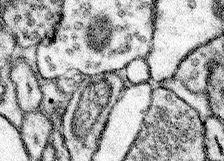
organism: Mouse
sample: Somatosensory cortex neuropil